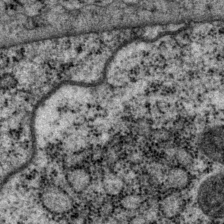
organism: P. pacificus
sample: Pharynx